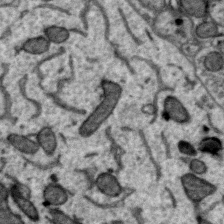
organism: Zebra finch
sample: Brain